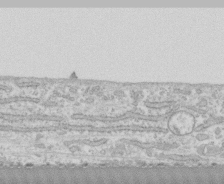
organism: Human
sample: CRL-1474